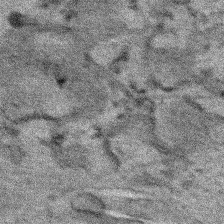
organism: Human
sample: Mitochondria in HCT116 cells